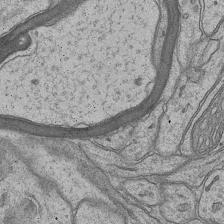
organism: Mouse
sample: CA1 Hippocampus